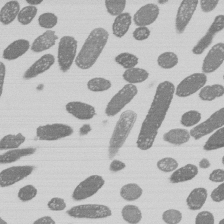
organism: E. coli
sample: Bacterial nucleoid